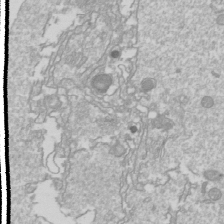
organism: Drosophila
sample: Cell division; meiosis; drosophila spermatocytes